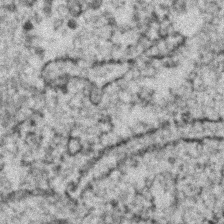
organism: Zebrafish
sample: Zebrafish embryo